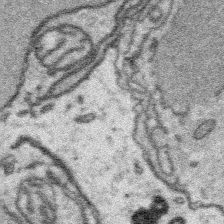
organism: Platynereis dumerilii